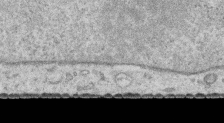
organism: Human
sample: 1205lu cells